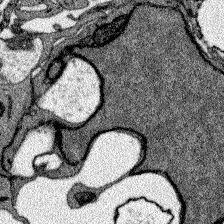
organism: Zebrafish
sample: Larval olfactory bulb